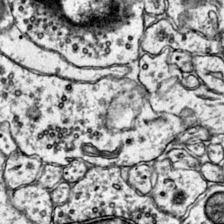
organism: Mouse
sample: Primary visual cortex